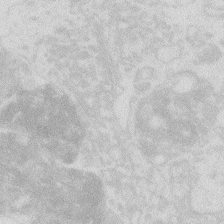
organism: Zebrafish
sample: Macrophage